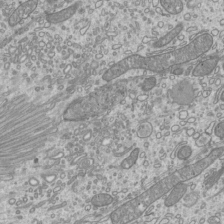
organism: Mouse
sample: Cilia; mouse epididymis